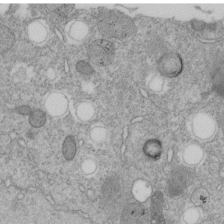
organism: C. elegans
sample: C. elegans embryo early stage